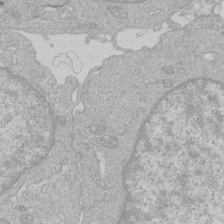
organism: Human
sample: Macrophage cells